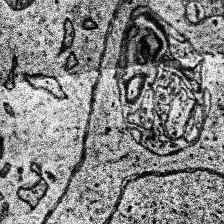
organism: Human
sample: Temporal Lobe